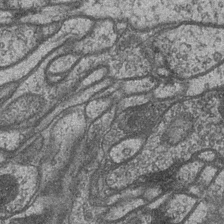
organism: Drosophila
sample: Optic medulla